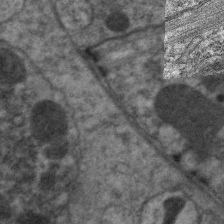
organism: C. elegans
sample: Pharynx